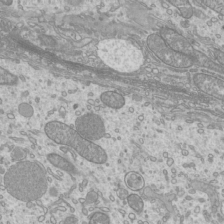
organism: Mouse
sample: Cilia; mouse epididymis